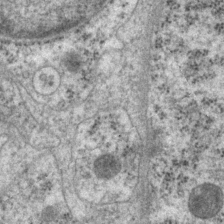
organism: P. pacificus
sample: Pharynx